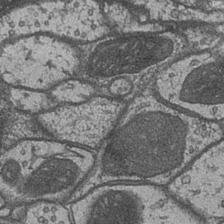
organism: Drosophila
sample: Optic medulla